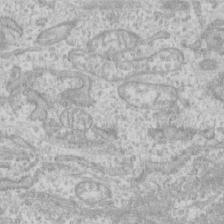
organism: Human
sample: CRL-1474